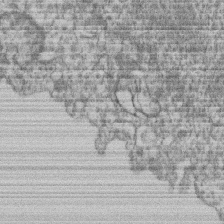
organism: Mouse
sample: T cell stromal cell synapse